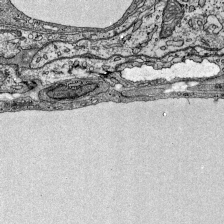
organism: Mouse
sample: Visual Cortex